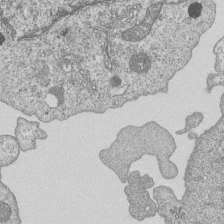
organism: Human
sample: MDA-MB-231 cells